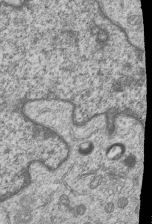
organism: Human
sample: MDA-MB-231 cells